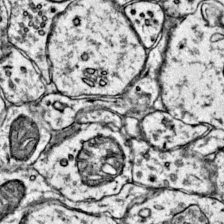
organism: Mouse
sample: Primary visual cortex